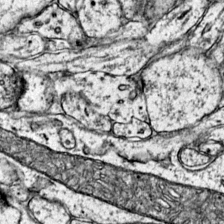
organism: Mouse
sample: Primary visual cortex